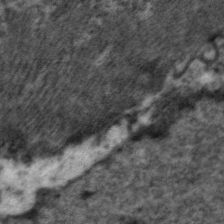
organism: C. elegans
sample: Pharynx